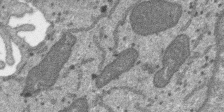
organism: Human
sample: Lung epithelial cells infected with SARS-CoV-2